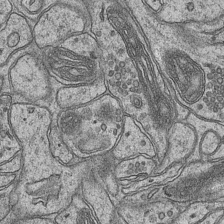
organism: Mouse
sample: CA1 Hippocampus